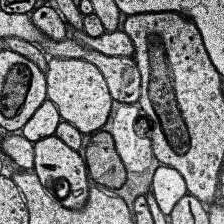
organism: Human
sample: Temporal Lobe